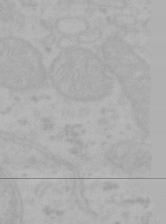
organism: Mouse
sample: Choroid plexus